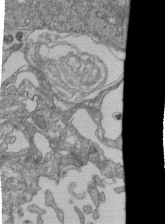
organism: Human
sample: Retinal organoid Rod and Cone cells